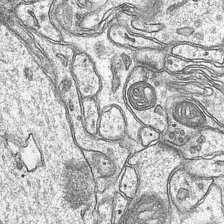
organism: Mouse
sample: CA1 Hippocampus